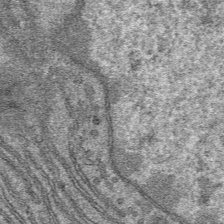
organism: Mouse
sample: Mouse hepatocytes